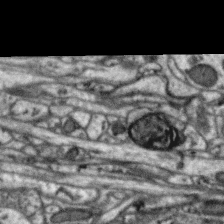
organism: Zebra finch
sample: Brain